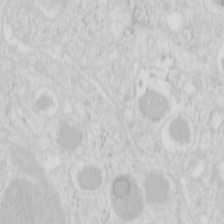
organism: Mouse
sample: Pancreas